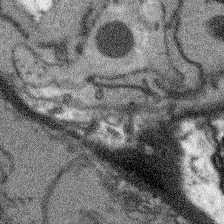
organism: Arabidopsis thaliana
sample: Root tip